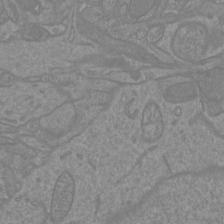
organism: Mouse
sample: Cortical neurons